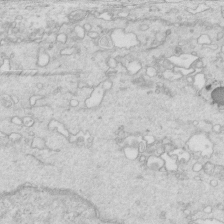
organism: Mouse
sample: Multiciliated cells